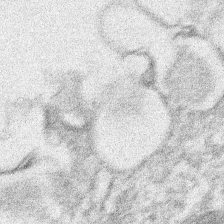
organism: Xenopus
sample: Cilia; centrioles in frog embryo cells